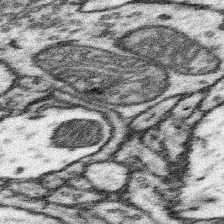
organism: Mouse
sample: Somatosensory cortex neuropil